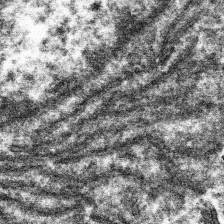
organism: Mouse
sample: Mouse hepatocytes